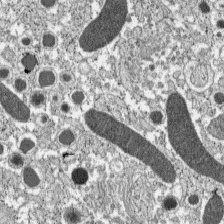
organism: C57BL Mouse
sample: Pancreatic islet